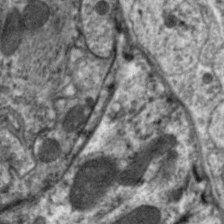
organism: C. elegans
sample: Pharynx